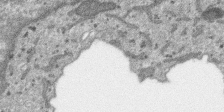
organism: Human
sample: Lung epithelial cells infected with SARS-CoV-2